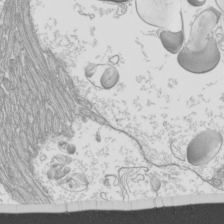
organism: Mouse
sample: Cilia; mouse epididymis